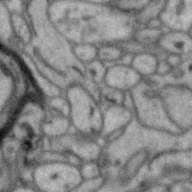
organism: Zebra finch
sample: Brain